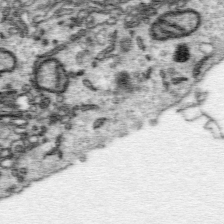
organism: Human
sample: HeLa cells